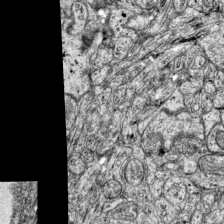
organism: Mouse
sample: Visual Cortex